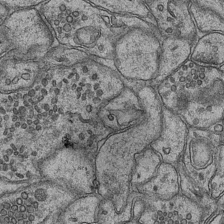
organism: Mouse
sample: CA1 Hippocampus